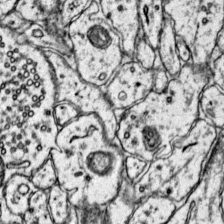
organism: Mouse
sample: Primary visual cortex